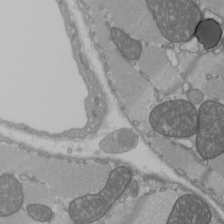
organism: C57BL Mouse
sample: Heart